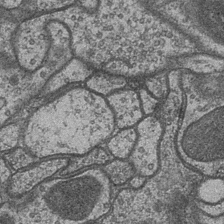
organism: Drosophila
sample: Optic medulla